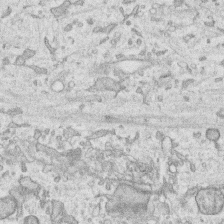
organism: Human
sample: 1205lu cells